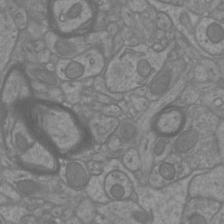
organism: Mouse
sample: Cortical neurons